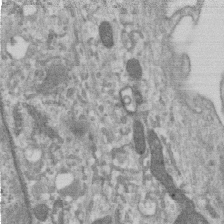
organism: Human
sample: Centriole in RPE cells